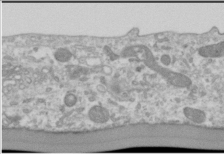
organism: Human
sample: Cilia; basal body in RPE cells